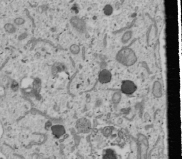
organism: Human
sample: Mitochondria in U2OS cells